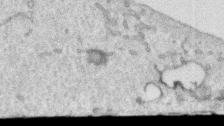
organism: Human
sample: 1205lu cells